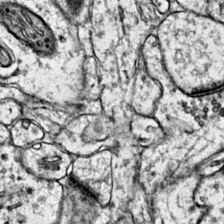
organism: Mouse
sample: Primary visual cortex